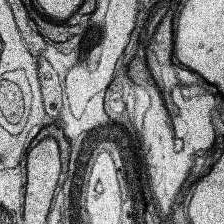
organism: Human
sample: Temporal Lobe